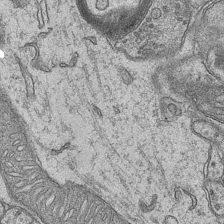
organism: Mouse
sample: CA1 Hippocampus